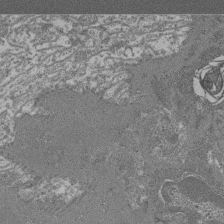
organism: Mouse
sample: Glomerulus